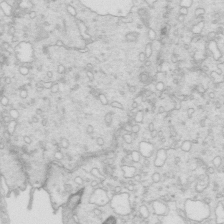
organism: Mouse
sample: Multiciliated cells